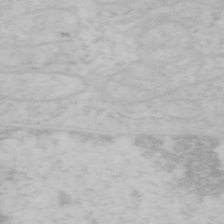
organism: Mouse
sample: OT-I killer T cells with ID8 ovarian cancer cells